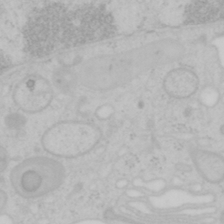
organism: Mouse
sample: OT-I killer T cells with ID8 ovarian cancer cells